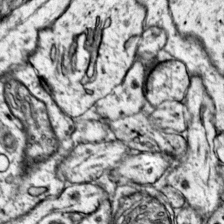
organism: Mouse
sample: Primary visual cortex